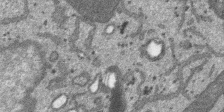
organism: Human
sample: Lung epithelial cells infected with SARS-CoV-2